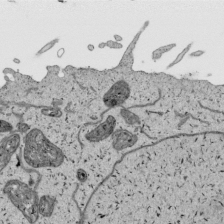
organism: Human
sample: Mitochondria in HCT116 cells